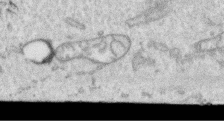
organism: Human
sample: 1205lu cells